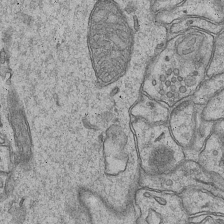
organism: Mouse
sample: CA1 Hippocampus